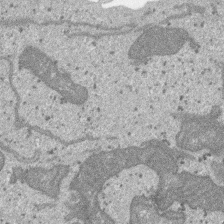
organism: Human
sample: Lung epithelial cells infected with SARS-CoV-2